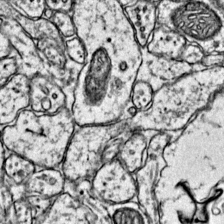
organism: Mouse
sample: Primary visual cortex